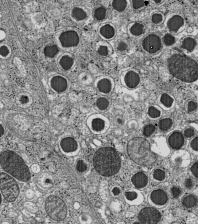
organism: C57BL Mouse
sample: Pancreatic islet